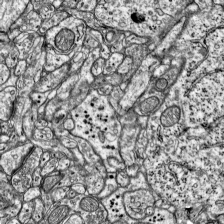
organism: Mouse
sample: Visual Cortex